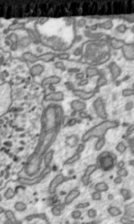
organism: Toxoplasma gondii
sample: Parasites in a vacuole inside a host cell